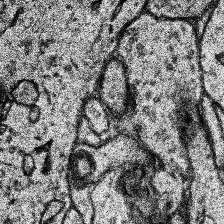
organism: Human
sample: Temporal Lobe